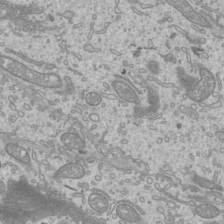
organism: Mouse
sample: Cilia; mouse epididymis